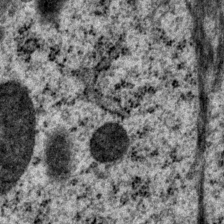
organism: P. pacificus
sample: Pharynx